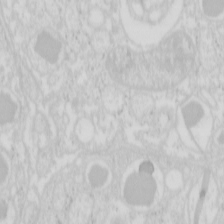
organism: Mouse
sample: Pancreas